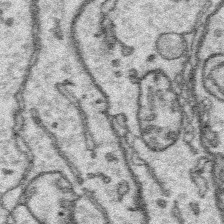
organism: Platynereis dumerilii